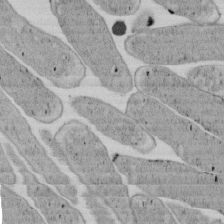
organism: E. coli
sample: Bacterial nucleoid